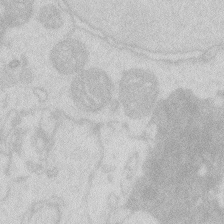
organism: Zebrafish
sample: Macrophage